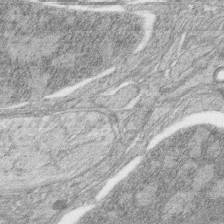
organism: Zebrafish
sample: synaptic ribbons in rod cells and cone cells